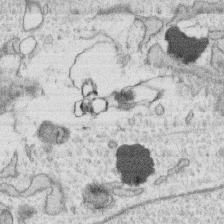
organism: Human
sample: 1205lu cells